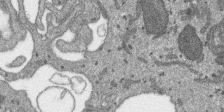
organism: Human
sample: Lung epithelial cells infected with SARS-CoV-2